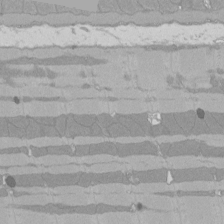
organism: Rat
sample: Left ventricle